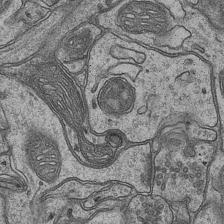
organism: Mouse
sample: CA1 Hippocampus